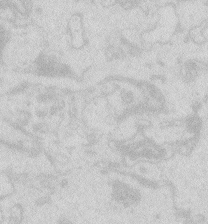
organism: Zebrafish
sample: Macrophage